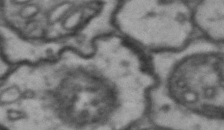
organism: Drosophila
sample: Brain